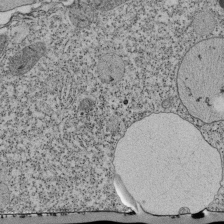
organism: Tetrahymena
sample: Cilia in tetrahymena